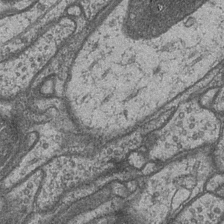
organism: Drosophila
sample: Optic medulla